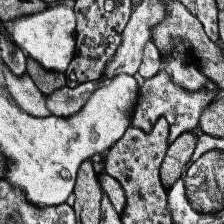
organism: Human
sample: Temporal Lobe